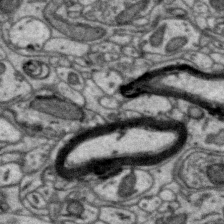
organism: Zebra finch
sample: Brain